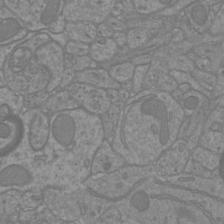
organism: Mouse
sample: Cortical neurons